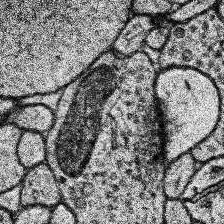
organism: Human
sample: Temporal Lobe